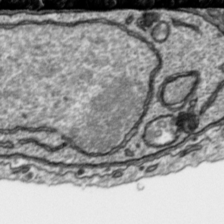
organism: Toxoplasma gondii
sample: Parasites in a vacuole inside a host cell